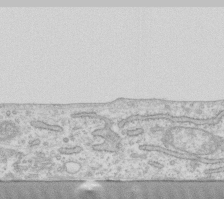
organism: Human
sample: Fibroblast cells